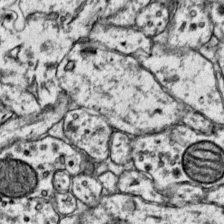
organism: Mouse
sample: Primary visual cortex